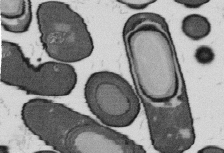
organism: B. subtilis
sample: Bacterial spore